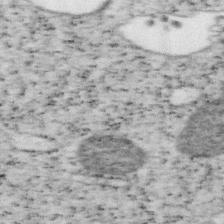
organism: Mouse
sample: OT-I killer T cells with ID8 ovarian cancer cells